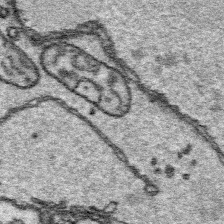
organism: Platynereis dumerilii